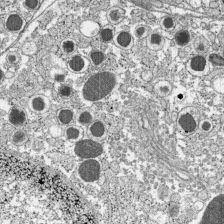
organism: C57BL Mouse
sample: Pancreatic islet